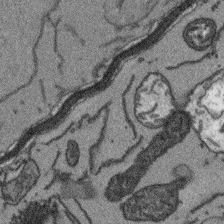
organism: Arabidopsis thaliana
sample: Root tip